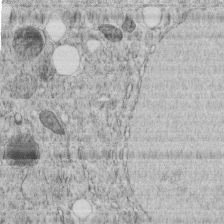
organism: C. elegans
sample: C. elegans embryo early stage